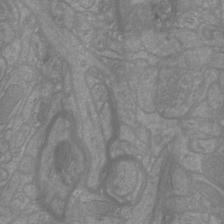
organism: Mouse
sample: Cortical neurons